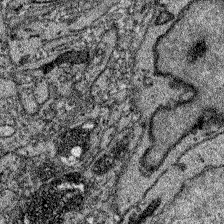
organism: Zebrafish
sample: Larval olfactory bulb